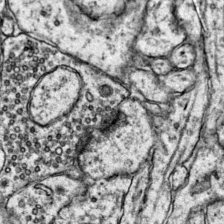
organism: Mouse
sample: Primary visual cortex